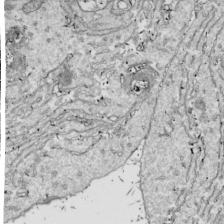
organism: Drosophila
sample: Cell division; meiosis; drosophila spermatocytes